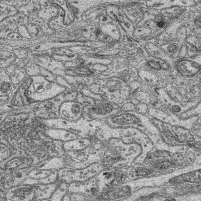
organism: Mouse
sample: Retina